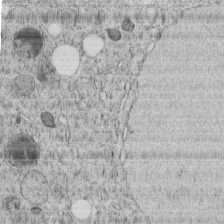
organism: C. elegans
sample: C. elegans embryo early stage